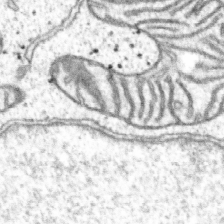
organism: Human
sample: HeLa cells